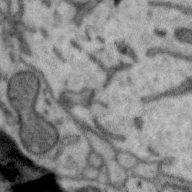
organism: Zebra finch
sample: Brain